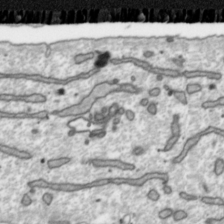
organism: Toxoplasma gondii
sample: Parasites in a vacuole inside a host cell